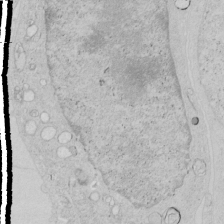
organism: Human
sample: Mitochondria in HCT116 cells